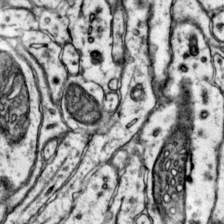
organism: Mouse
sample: Primary visual cortex